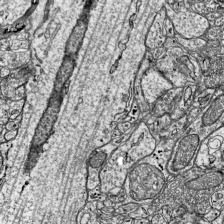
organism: Mouse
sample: Visual Cortex